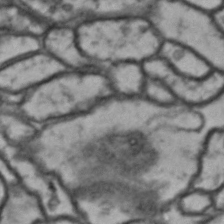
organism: Drosophila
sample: Brain